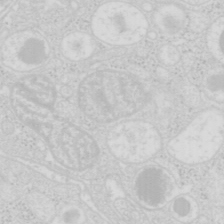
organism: Mouse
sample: Pancreas